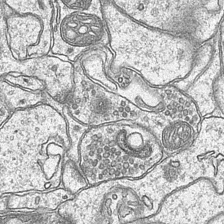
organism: Mouse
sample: CA1 Hippocampus